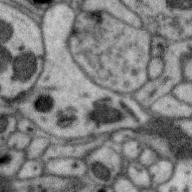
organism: Zebra finch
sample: Brain